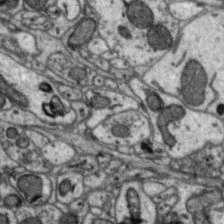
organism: Zebra finch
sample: Brain